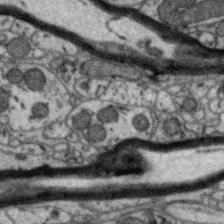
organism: Zebra finch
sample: Brain